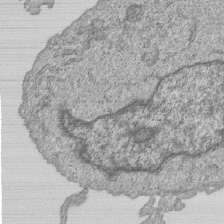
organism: Human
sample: MDA-MB-231 cells